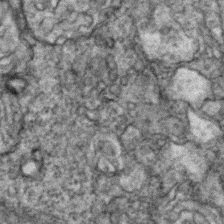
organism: Zebrafish